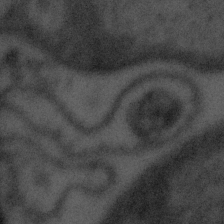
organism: Tuwongella immobilis